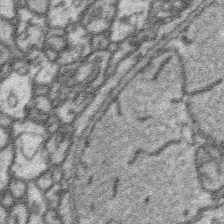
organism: Platynereis dumerilii